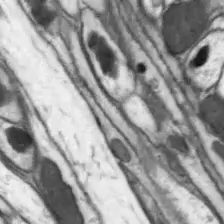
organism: Drosophila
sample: Optic lobe